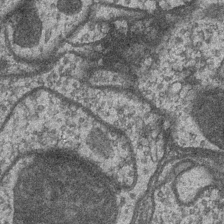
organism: Drosophila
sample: Optic medulla